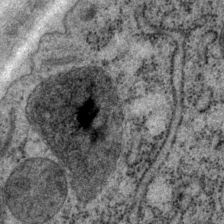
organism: P. pacificus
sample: Pharynx